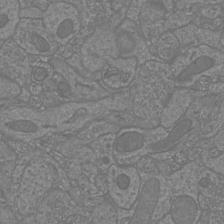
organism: Mouse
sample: Cortical neurons